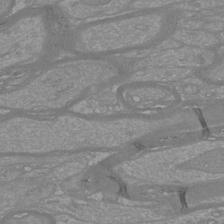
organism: Mouse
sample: Cortical neurons